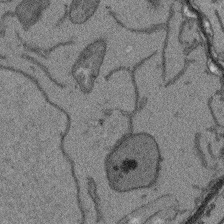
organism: Arabidopsis thaliana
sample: Root tip